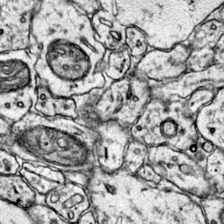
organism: Mouse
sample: Primary visual cortex